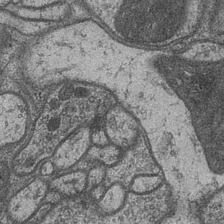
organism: Drosophila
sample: Optic medulla